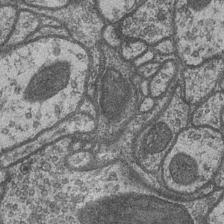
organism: Drosophila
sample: Optic medulla